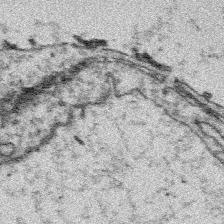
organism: Platynereis dumerilii